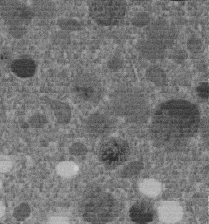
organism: C. elegans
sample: C. elegans embryo early stage